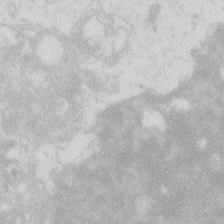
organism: Zebrafish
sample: Macrophage